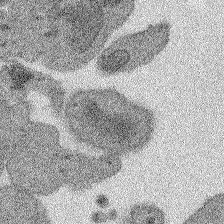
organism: Human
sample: HeLa cells